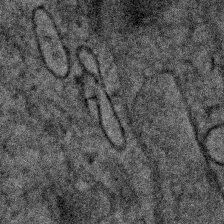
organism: Human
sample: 1205lu cells